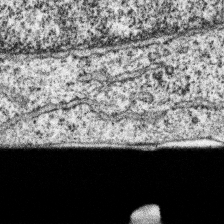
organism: Human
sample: HeLa cells